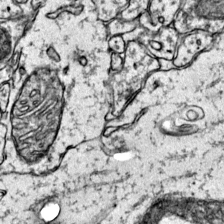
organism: Mouse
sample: Primary visual cortex